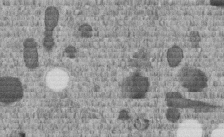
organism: C. elegans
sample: C. elegans embryo early stage